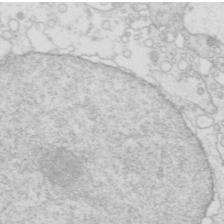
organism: Mouse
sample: Multiciliated cells